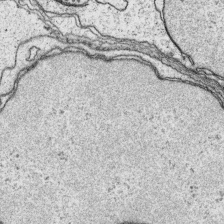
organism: Platynereis dumerilii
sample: Parapodia